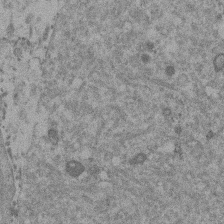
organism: Mouse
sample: Dividing mouse embryo 1 cell stage